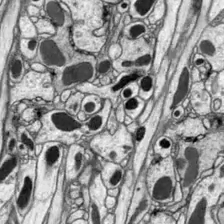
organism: Drosophila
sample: Optic lobe